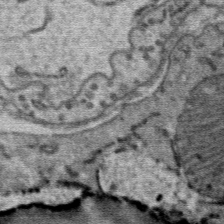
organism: Mouse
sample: Mouse Salivary gland